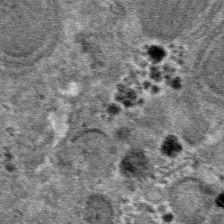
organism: Mouse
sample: Mouse hepatocytes